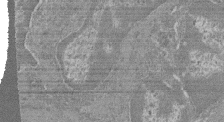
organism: Mouse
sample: Glomerulus